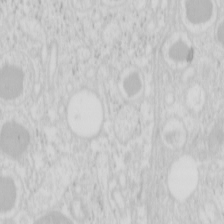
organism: Mouse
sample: Pancreas